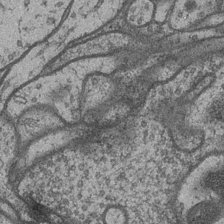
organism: Drosophila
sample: Optic medulla